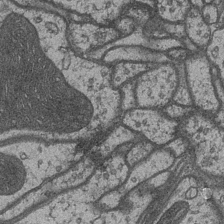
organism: Drosophila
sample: Optic medulla